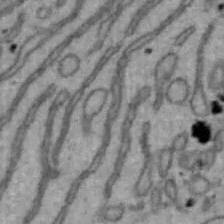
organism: Mouse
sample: Liver